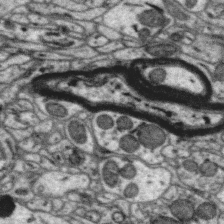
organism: Zebra finch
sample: Brain